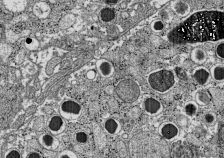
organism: C57BL Mouse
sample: Pancreatic islet